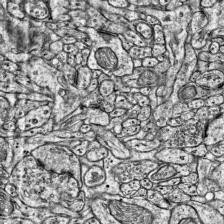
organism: Mouse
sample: Visual Cortex